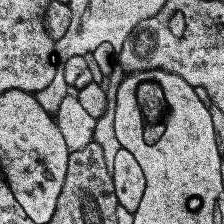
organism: Human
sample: Temporal Lobe